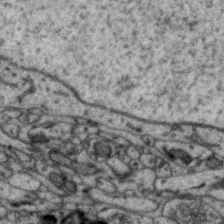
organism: Zebra finch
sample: Brain